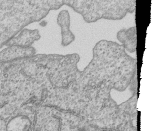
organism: Human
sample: MDA-MB-231 cells